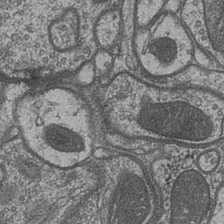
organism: Drosophila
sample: Optic medulla